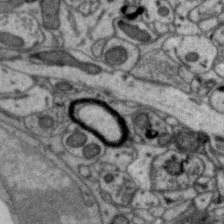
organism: Zebra finch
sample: Brain